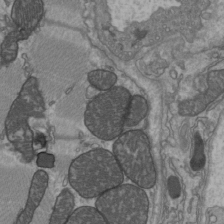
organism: C57BL Mouse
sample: Heart